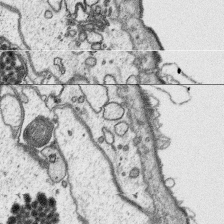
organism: Platynereis dumerilii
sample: Parapodia